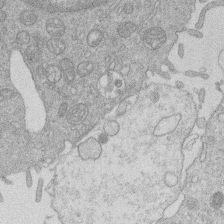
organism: Human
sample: Macrophage cells